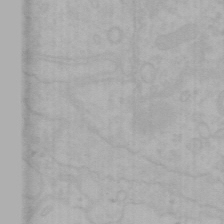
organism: Mouse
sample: Choroid plexus